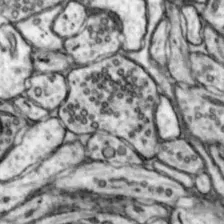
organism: Mouse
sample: Nucleus accumbens